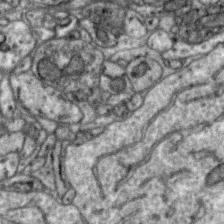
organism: Zebra finch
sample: Brain